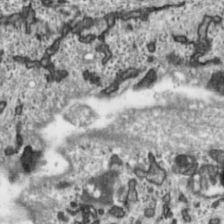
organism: Toxoplasma gondii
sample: Parasites in a vacuole inside a host cell